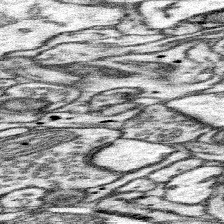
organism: Mouse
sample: Somatosensory cortex neuropil